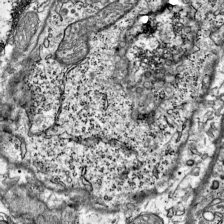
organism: Mouse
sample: Visual Cortex